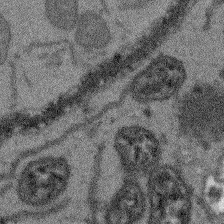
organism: Arabidopsis thaliana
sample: Root tip